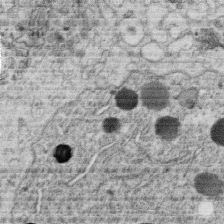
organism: C. elegans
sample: C. elegans oocyte; sperm cells